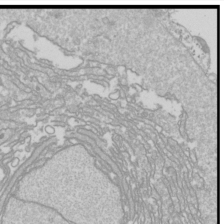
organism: Drosophila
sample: Cell division; meiosis; drosophila spermatocytes